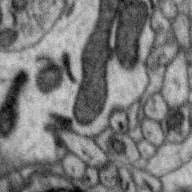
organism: Zebra finch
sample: Brain